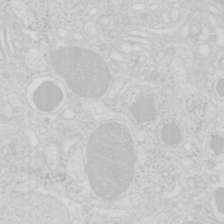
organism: Mouse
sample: Pancreas